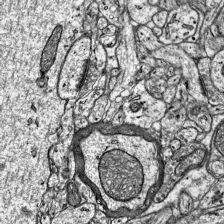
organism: Mouse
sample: Visual Cortex